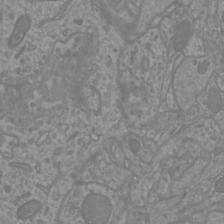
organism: Mouse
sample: Cortical neurons